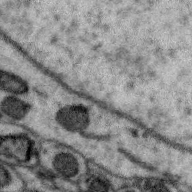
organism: Zebra finch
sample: Brain